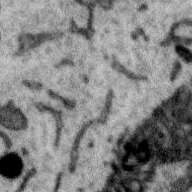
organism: Zebra finch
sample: Brain